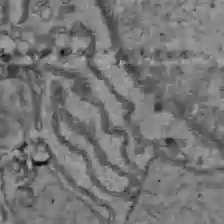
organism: C57BL Mouse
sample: Liver